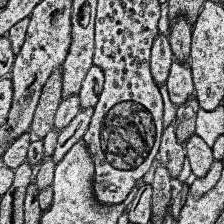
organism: Human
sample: Temporal Lobe